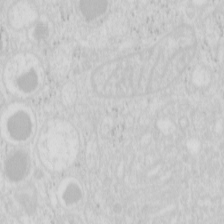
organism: Mouse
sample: Pancreas